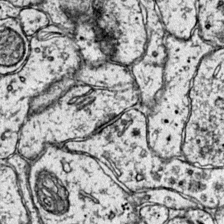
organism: Mouse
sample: Primary visual cortex